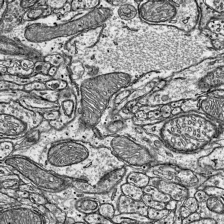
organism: Mouse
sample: Visual Cortex